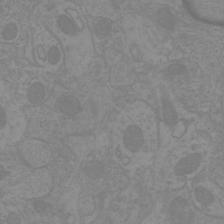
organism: Mouse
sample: Cortical neurons